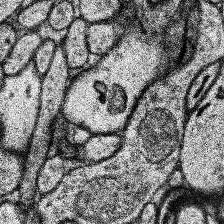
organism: Human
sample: Temporal Lobe